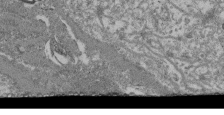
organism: Mouse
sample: Glomerulus